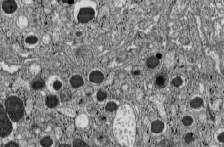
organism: C57BL Mouse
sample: Pancreatic islet